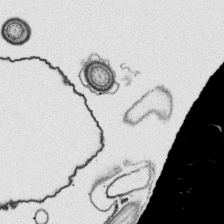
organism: Platynereis dumerilii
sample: Parapodia